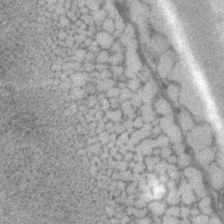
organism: P. pacificus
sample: Pharynx